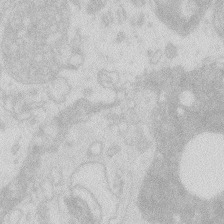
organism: Zebrafish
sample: Macrophage